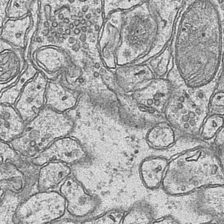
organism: Mouse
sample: CA1 Hippocampus